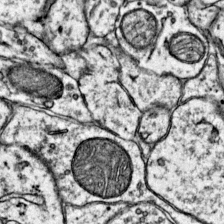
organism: Mouse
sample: Primary visual cortex